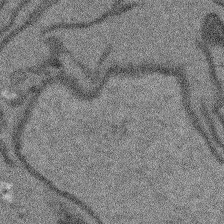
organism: Arabidopsis thaliana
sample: Root tip